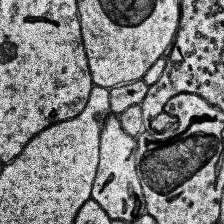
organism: Human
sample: Temporal Lobe